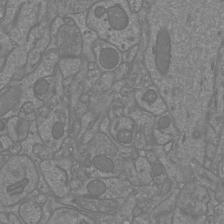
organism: Mouse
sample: Cortical neurons